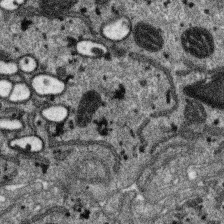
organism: Human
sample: Lung epithelial cells infected with SARS-CoV-2